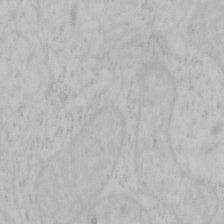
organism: Mouse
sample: OT-I killer T cells with ID8 ovarian cancer cells